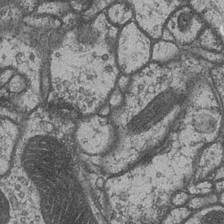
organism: Drosophila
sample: Optic medulla